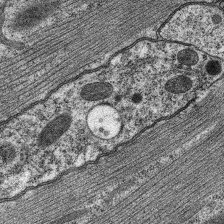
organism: C. elegans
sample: Pharynx